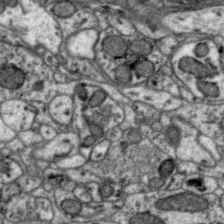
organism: Zebra finch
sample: Brain